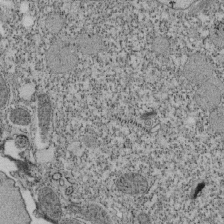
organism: Tetrahymena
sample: Cilia in tetrahymena